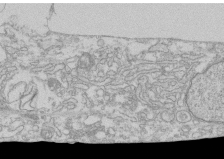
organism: Human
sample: CRL-1474